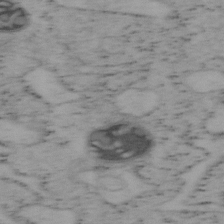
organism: Mouse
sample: OT-I killer T cells with ID8 ovarian cancer cells